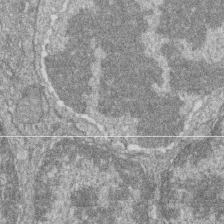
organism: Zebrafish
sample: Cilia; retinal pigment epithelium